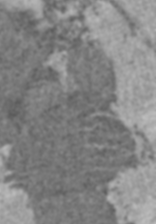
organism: C57BL Mouse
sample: Heart